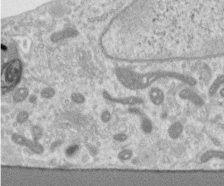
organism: Human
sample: Centriole in RPE cells